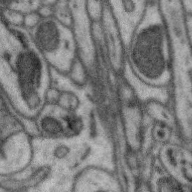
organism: Zebra finch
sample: Brain